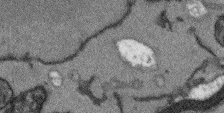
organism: Arabidopsis thaliana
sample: Root tip